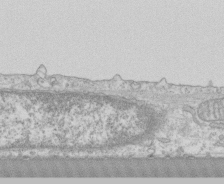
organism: Human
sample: CRL-1474